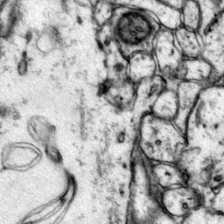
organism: Mouse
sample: Primary visual cortex